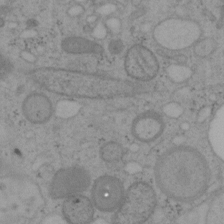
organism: Mouse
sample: OT-I killer T cells with ID8 ovarian cancer cells